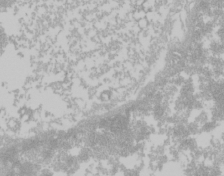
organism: Mouse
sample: Cancer cell death in ED-1 cells